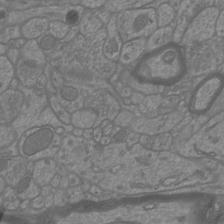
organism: Mouse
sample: Cortical neurons